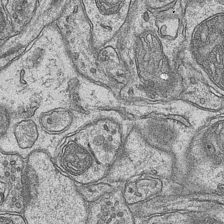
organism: Mouse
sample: CA1 Hippocampus